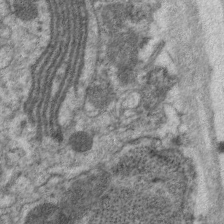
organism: C. elegans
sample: Pharynx